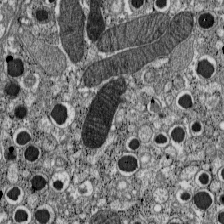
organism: C57BL Mouse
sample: Pancreatic islet